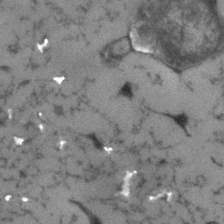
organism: Human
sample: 1205lu cells